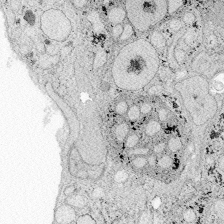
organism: Zebrafish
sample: Whole-Brain